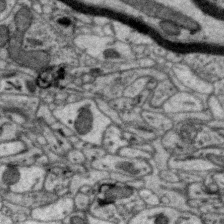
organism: Zebra finch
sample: Brain